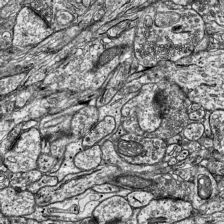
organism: Mouse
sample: Visual Cortex